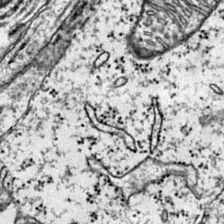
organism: Mouse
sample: Primary visual cortex